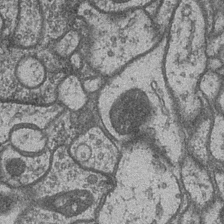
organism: Drosophila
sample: Optic medulla